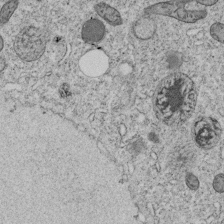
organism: C. elegans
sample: C. elegans embryo early stage